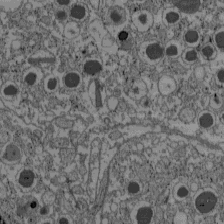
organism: C57BL Mouse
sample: Pancreatic islet